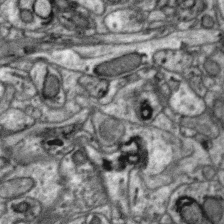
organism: Zebra finch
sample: Brain